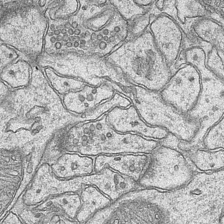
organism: Mouse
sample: CA1 Hippocampus